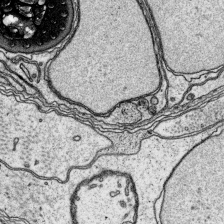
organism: Platynereis dumerilii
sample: Parapodia